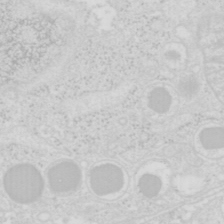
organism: Mouse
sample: Pancreas